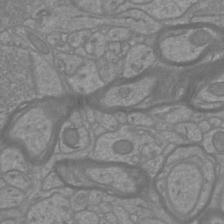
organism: Mouse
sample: Cortical neurons